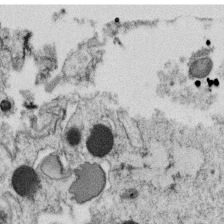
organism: C. elegans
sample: C. elegans oocyte; sperm cells